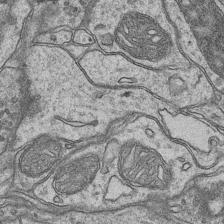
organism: Mouse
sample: CA1 Hippocampus